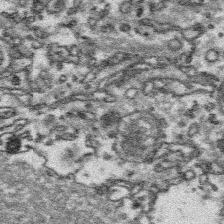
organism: Platynereis dumerilii